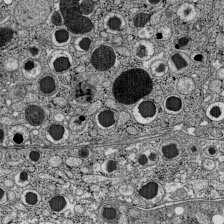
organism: C57BL Mouse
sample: Pancreatic islet